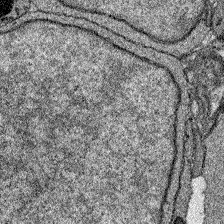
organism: Zebrafish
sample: Larval olfactory bulb